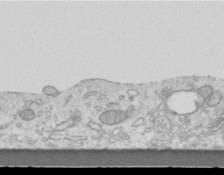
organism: Mouse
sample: Centriole in ependymal cells